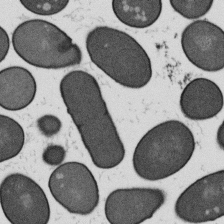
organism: B. subtilis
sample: Bacterial spore